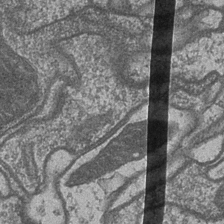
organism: Drosophila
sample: Optic medulla